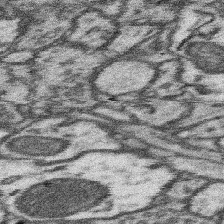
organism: Mouse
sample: Somatosensory cortex neuropil